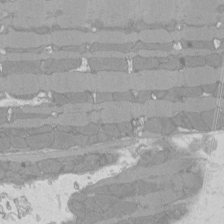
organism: Rat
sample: Left ventricle